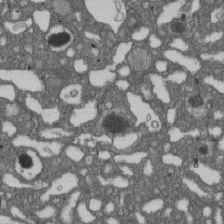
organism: Drosophila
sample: Nephrocyte